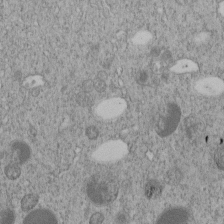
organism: C. elegans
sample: C. elegans embryo early stage